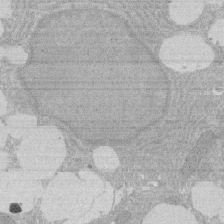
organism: Rat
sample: Salivary granule